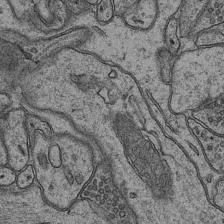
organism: Mouse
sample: CA1 Hippocampus